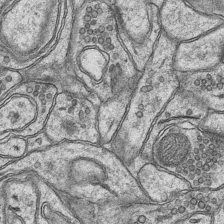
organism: Mouse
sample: CA1 Hippocampus